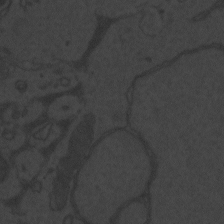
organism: Zebrafish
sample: Macrophage infected with Toxoplasma gondii